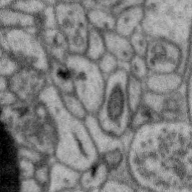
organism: Zebra finch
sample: Brain